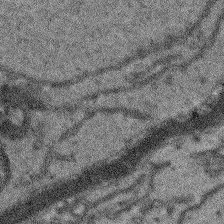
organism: Arabidopsis thaliana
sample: Root tip